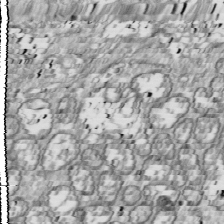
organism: Drosophila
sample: Cell division; meiosis; drosophila spermatocytes